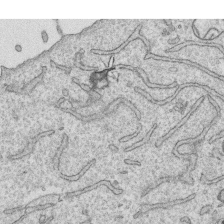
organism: Human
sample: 1205lu cells